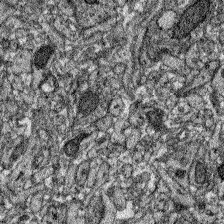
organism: Zebrafish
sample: Larval olfactory bulb